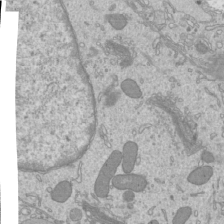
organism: Mouse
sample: Cilia; mouse epididymis